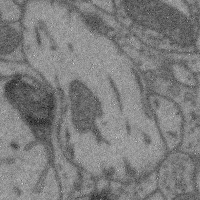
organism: Mouse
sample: Cerebral cortex